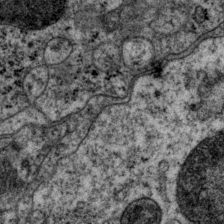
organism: P. pacificus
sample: Pharynx